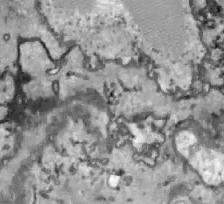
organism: Zebrafish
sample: Actinotrichia fibers